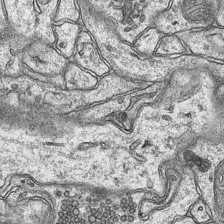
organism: Mouse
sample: CA1 Hippocampus